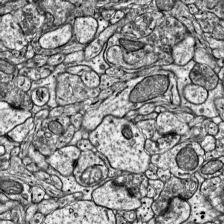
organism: Mouse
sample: Visual Cortex